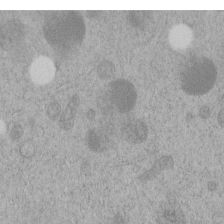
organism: C. elegans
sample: C. elegans embryo early stage